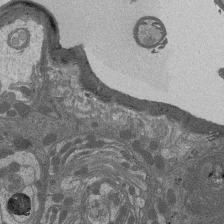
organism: Drosophila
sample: Antenna